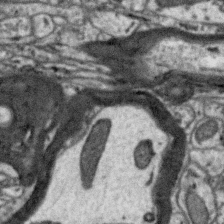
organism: Zebra finch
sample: Brain